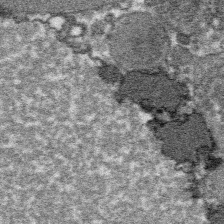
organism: Platynereis dumerilii